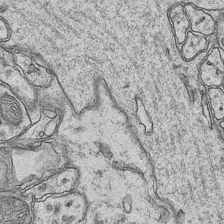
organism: Mouse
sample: CA1 Hippocampus